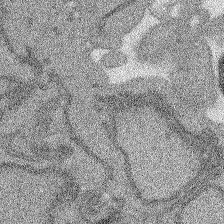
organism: Human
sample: HeLa cells